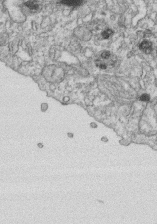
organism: Human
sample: HeLa cell HIV synapse